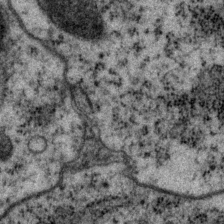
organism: P. pacificus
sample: Pharynx